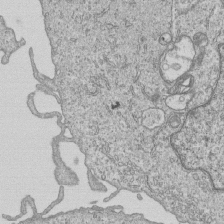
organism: Human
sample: MDA-MB-231 cells